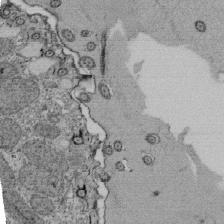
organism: Tetrahymena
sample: Cilia in tetrahymena